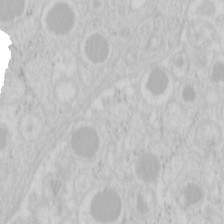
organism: Mouse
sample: Pancreas